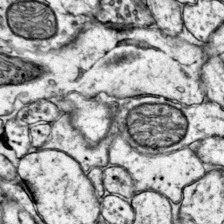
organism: Mouse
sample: Primary visual cortex